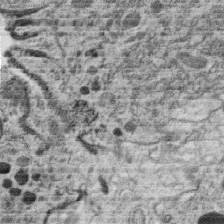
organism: C. elegans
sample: C. elegans oocyte; sperm cells